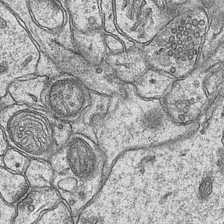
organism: Mouse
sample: CA1 Hippocampus